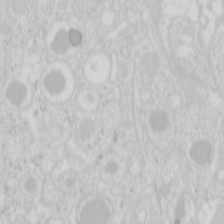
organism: Mouse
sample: Pancreas